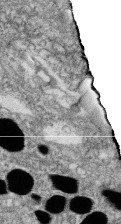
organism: Zebrafish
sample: Cilia; retinal pigment epithelium